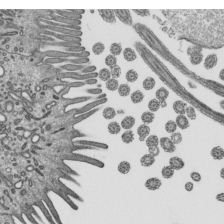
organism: Mouse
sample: Mouse epididymis efferent ductule cilia